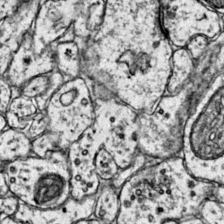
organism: Mouse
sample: Primary visual cortex